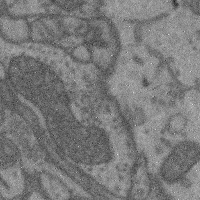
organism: Mouse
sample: Cerebral cortex